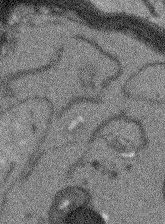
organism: Arabidopsis thaliana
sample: Root tip